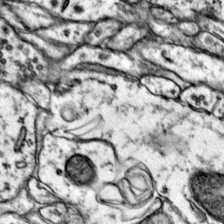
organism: Mouse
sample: Primary visual cortex